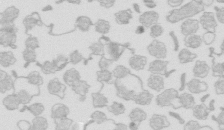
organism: Mouse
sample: Multiciliated cells